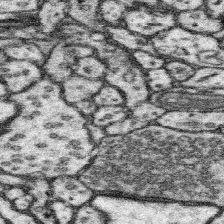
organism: Mouse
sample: Somatosensory cortex neuropil